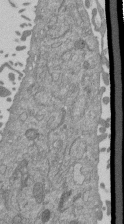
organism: Mouse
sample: ED-1 cell nuclei; centrioles